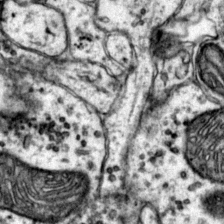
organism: Mouse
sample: Primary visual cortex